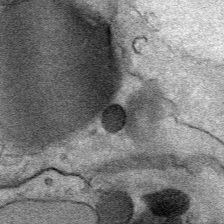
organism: Mouse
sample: Mouse Salivary gland